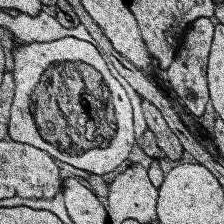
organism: Human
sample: Temporal Lobe